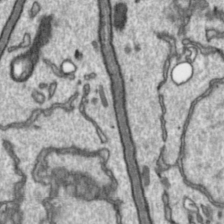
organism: Toxoplasma gondii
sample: Parasites in a vacuole inside a host cell